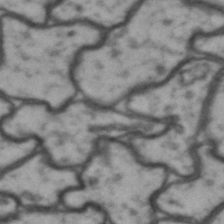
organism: Drosophila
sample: Brain